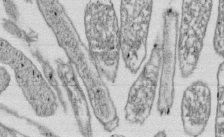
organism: E. coli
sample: Bacterial nucleoid